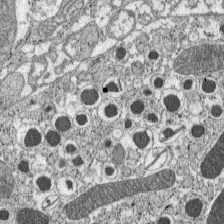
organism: C57BL Mouse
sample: Pancreatic islet